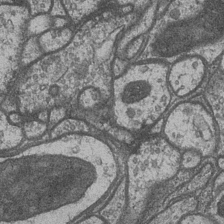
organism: Drosophila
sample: Optic medulla